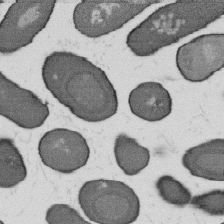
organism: B. subtilis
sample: Bacterial spore